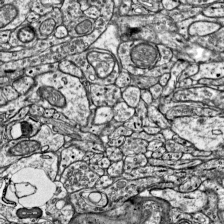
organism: Mouse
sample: Visual Cortex